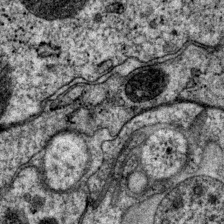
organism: P. pacificus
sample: Pharynx